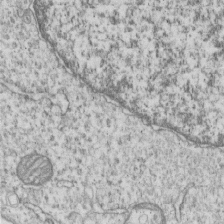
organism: Human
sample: MDA-MB-231 cells